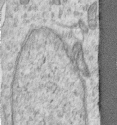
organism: Human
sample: Centriole in RPE cells